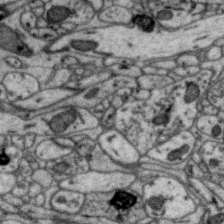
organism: Zebra finch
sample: Brain